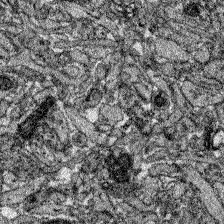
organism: Zebrafish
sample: Larval olfactory bulb